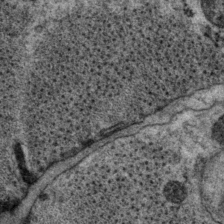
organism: P. pacificus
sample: Pharynx